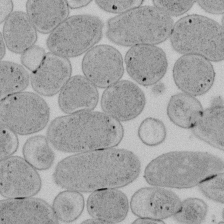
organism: E. coli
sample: Bacterial nucleoid